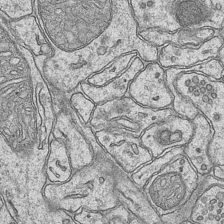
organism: Mouse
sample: CA1 Hippocampus